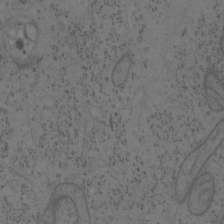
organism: Mouse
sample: OT-I killer T cells with ID8 ovarian cancer cells